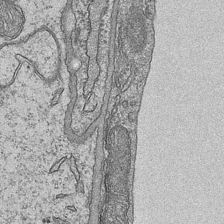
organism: Mouse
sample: CA1 Hippocampus